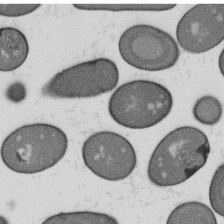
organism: B. subtilis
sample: Bacterial spore